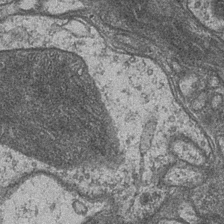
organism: Drosophila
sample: Optic medulla